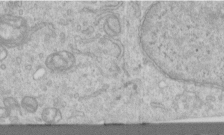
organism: Human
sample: Centriole in RPE cells